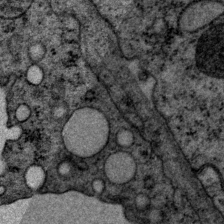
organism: P. pacificus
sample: Pharynx